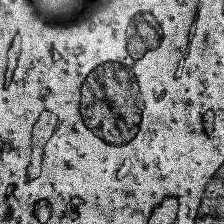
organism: Human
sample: Temporal Lobe